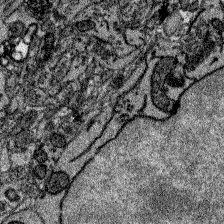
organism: Zebrafish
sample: Larval olfactory bulb